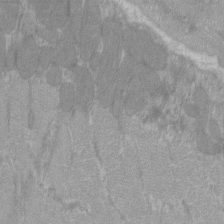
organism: C57BL Mouse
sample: Tibialis anterior muscle cell